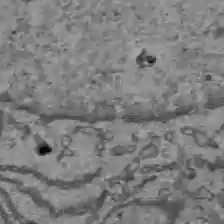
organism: C57BL Mouse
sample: Liver